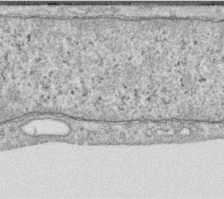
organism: Human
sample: Centriole in RPE cells